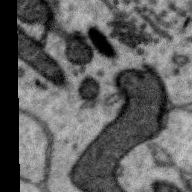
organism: Zebra finch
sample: Brain